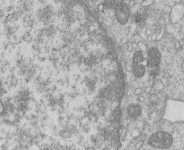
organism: Human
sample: Macrophage cells